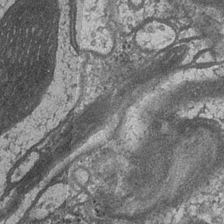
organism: Drosophila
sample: Optic medulla